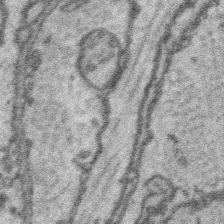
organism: Platynereis dumerilii